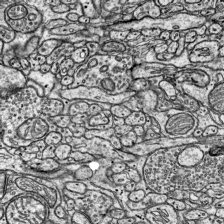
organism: Mouse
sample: Visual Cortex